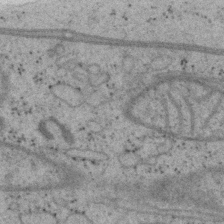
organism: Human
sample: HeLa cells